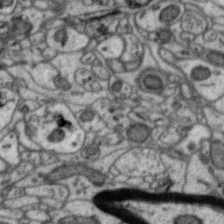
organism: Zebra finch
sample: Brain